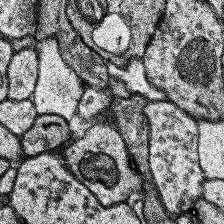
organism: Human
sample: Temporal Lobe